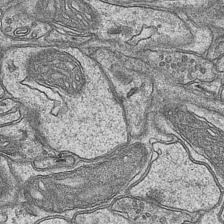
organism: Mouse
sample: CA1 Hippocampus